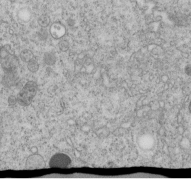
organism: C. elegans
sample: C. elegans embryo early stage